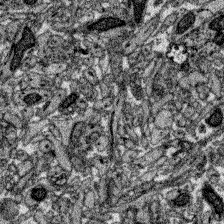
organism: Zebrafish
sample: Larval olfactory bulb